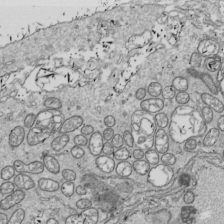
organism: Drosophila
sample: Cell division; meiosis; drosophila spermatocytes